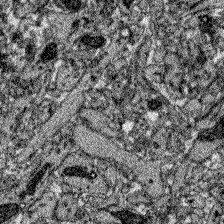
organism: Zebrafish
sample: Larval olfactory bulb